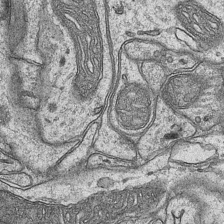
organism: Mouse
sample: CA1 Hippocampus